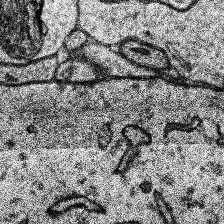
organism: Human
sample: Temporal Lobe